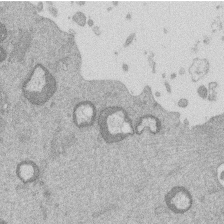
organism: Mouse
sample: Dividing mouse embryo 1 cell stage